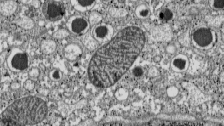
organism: C57BL Mouse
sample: Pancreatic islet